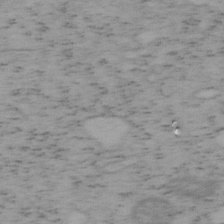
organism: Mouse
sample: OT-I killer T cells with ID8 ovarian cancer cells